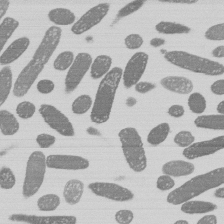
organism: E. coli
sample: Bacterial nucleoid